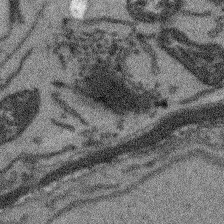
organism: Arabidopsis thaliana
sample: Root tip